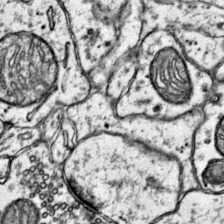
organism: Mouse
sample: Primary visual cortex